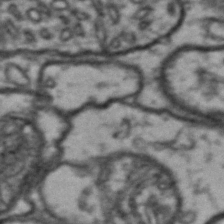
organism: Drosophila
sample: Brain